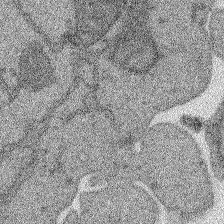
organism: Human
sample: HeLa cells